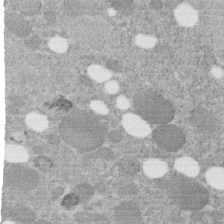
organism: C. elegans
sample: C. elegans embryo early stage